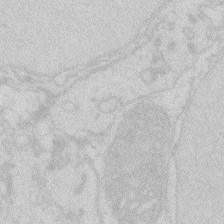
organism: Zebrafish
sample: Macrophage